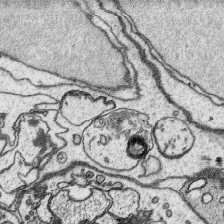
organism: Platynereis dumerilii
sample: Parapodia